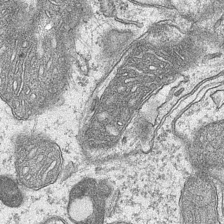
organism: Mouse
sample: CA1 Hippocampus